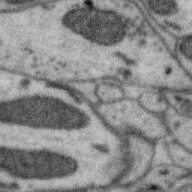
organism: Zebra finch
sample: Brain